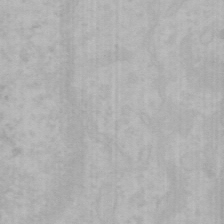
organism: Mouse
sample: Choroid plexus